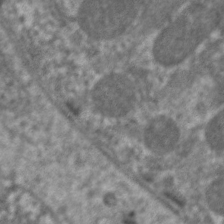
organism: C. elegans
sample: Pharynx